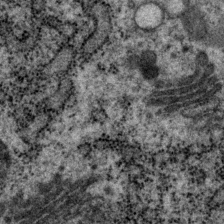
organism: P. pacificus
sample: Pharynx